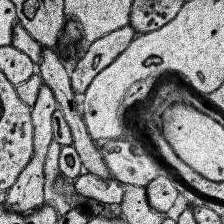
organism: Human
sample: Temporal Lobe